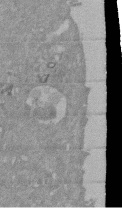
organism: Mouse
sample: ED-1 cell nuclei; centrioles